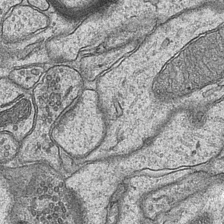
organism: Mouse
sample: CA1 Hippocampus